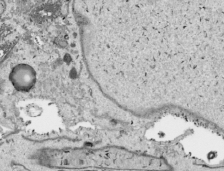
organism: Human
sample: Mitochondria in HCT116 cells